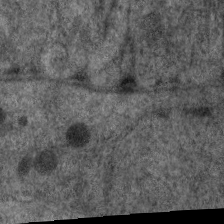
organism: C. elegans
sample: Pharynx